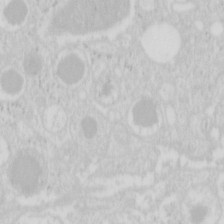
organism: Mouse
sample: Pancreas